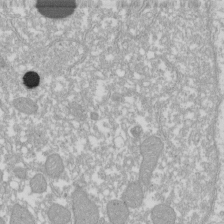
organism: Xenopus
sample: Cilia; centrioles in frog embryo cells